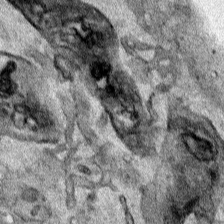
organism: Human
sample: Mitochondria in HCT116 cells